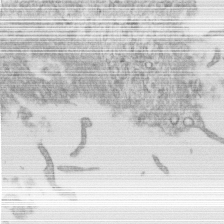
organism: Human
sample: Centriole in RPE cells